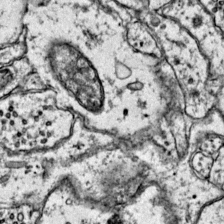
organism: Mouse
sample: Primary visual cortex